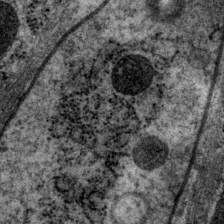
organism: P. pacificus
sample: Pharynx